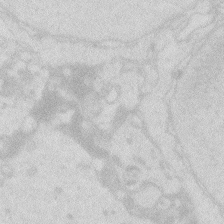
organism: Zebrafish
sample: Macrophage